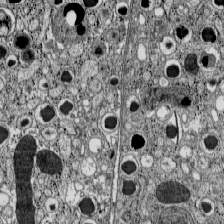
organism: C57BL Mouse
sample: Pancreatic islet